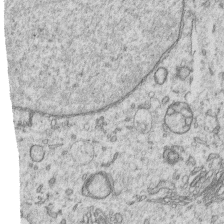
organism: Human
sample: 1205lu cells